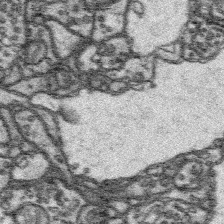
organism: Platynereis dumerilii